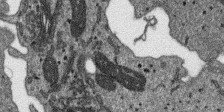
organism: Human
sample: Lung epithelial cells infected with SARS-CoV-2